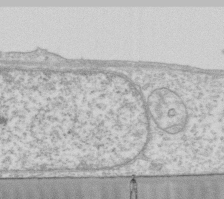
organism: Human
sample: Fibroblast cells